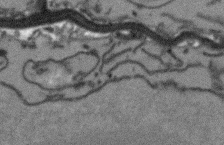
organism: Arabidopsis thaliana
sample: Root tip